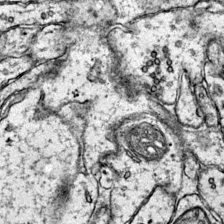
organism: Mouse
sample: Primary visual cortex